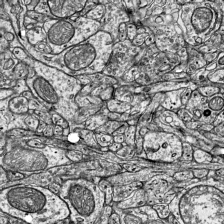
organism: Mouse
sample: Visual Cortex